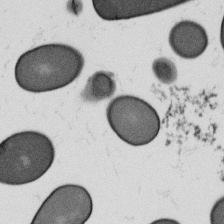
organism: B. subtilis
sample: Bacterial spore